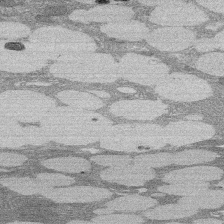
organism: Rat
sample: Salivary granule